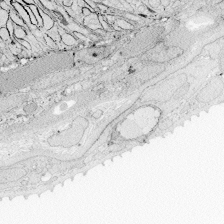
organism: Zebrafish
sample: Whole-Brain